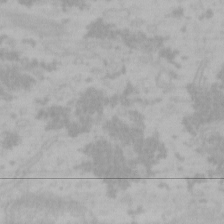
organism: Mouse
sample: Choroid plexus